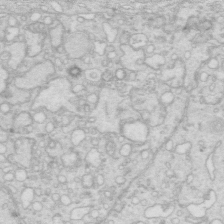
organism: Mouse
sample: Multiciliated cells